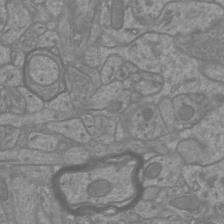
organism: Mouse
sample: Cortical neurons